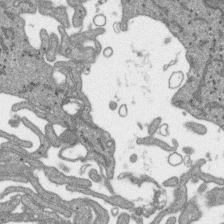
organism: Human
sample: Lung epithelial cells infected with SARS-CoV-2